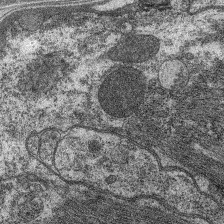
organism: C. elegans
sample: Pharynx